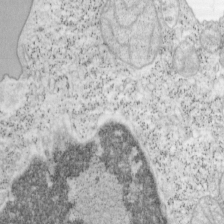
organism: Mouse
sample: OT-I killer T cells with ID8 ovarian cancer cells